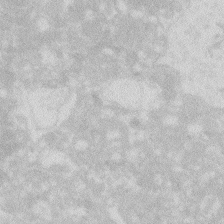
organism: Zebrafish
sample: Macrophage